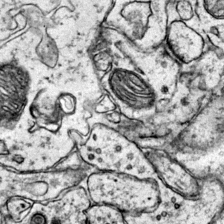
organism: Mouse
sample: Primary visual cortex